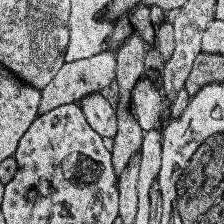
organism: Human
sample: Temporal Lobe